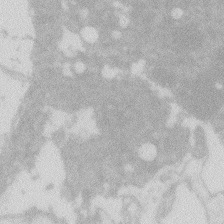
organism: Zebrafish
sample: Macrophage